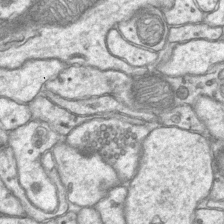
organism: Mouse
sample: CA1 Hippocampus